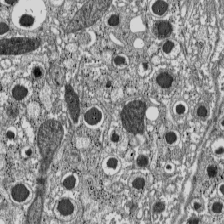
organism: C57BL Mouse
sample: Pancreatic islet